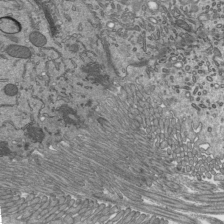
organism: Mouse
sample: Mouse epididymis efferent ductule cilia